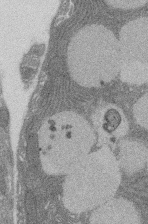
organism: Rat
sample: Salivary granule